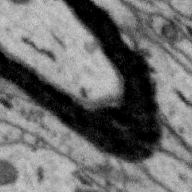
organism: Zebra finch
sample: Brain